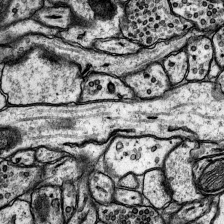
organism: Rat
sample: Hippocampus